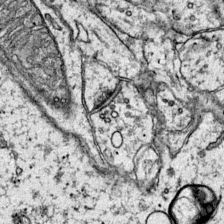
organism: Mouse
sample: Primary visual cortex